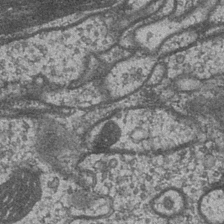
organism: Drosophila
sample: Optic medulla